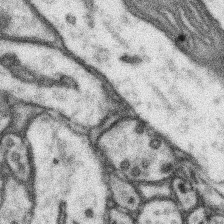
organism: Mouse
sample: Somatosensory cortex neuropil